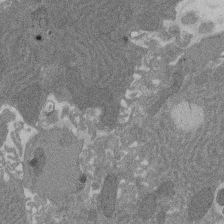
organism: Rat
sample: Salivary granule